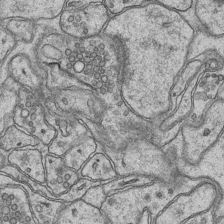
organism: Mouse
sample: CA1 Hippocampus